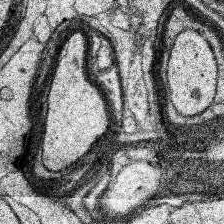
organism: Human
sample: Temporal Lobe